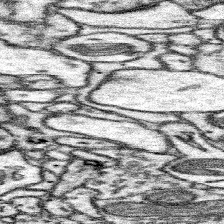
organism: Mouse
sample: Somatosensory cortex neuropil